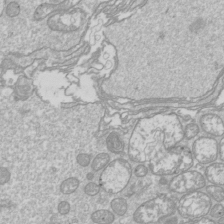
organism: Drosophila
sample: Cell division; meiosis; drosophila spermatocytes